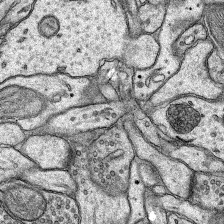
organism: Rat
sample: Hippocampus